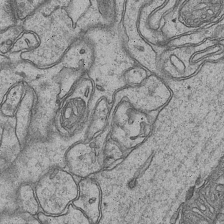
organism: Mouse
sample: CA1 Hippocampus